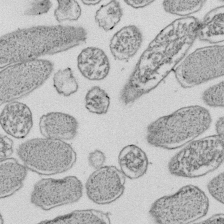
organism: E. coli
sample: Bacterial nucleoid